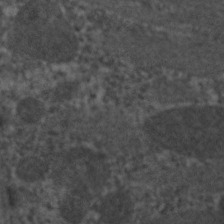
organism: C. elegans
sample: Pharynx